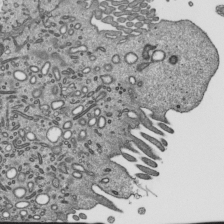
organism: Mouse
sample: Mouse epididymis efferent ductule cilia